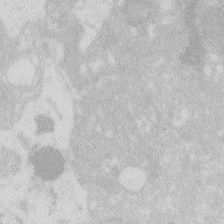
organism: Zebrafish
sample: Macrophage